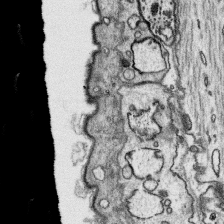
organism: Platynereis dumerilii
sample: Parapodia